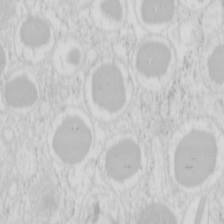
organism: Mouse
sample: Pancreas